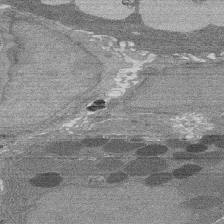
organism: Rat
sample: Salivary granule